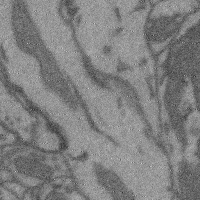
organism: Mouse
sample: Cerebral cortex